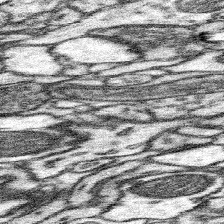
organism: Mouse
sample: Somatosensory cortex neuropil